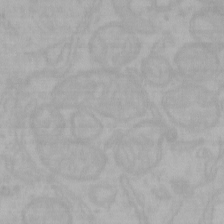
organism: Mouse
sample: Choroid plexus